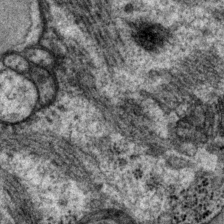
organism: P. pacificus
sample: Pharynx